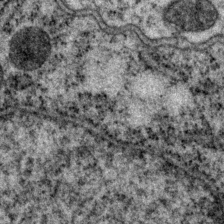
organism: P. pacificus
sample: Pharynx